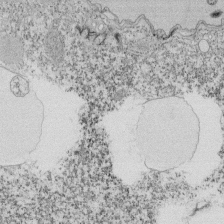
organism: Tetrahymena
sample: Cilia in tetrahymena